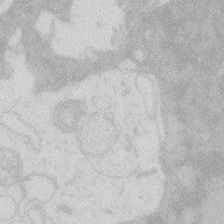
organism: Zebrafish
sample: Macrophage